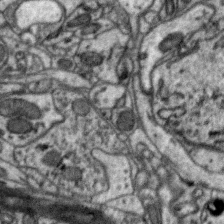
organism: Zebra finch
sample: Brain